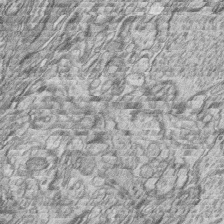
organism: Zebrafish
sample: synaptic ribbons in rod cells and cone cells